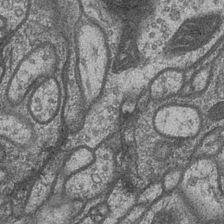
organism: Drosophila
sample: Optic medulla